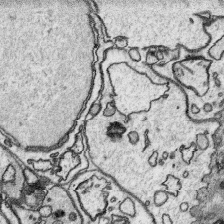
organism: Platynereis dumerilii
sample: Parapodia